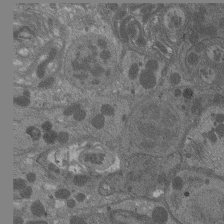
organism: Drosophila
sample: Antenna